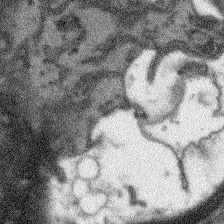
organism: Arabidopsis thaliana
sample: Root tip